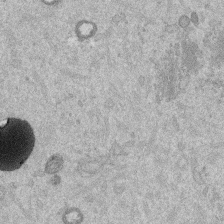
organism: Mouse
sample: Dividing mouse embryo 1 cell stage